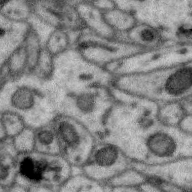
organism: Zebra finch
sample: Brain